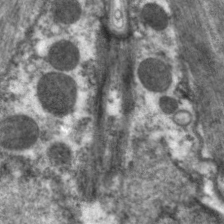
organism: C. elegans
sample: Pharynx